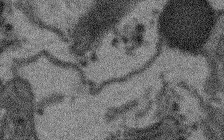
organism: Arabidopsis thaliana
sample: Root tip